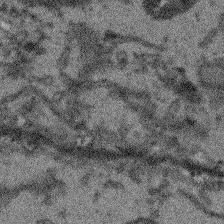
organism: Arabidopsis thaliana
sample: Root tip